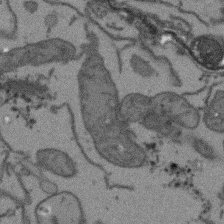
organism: Arabidopsis thaliana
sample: Root tip